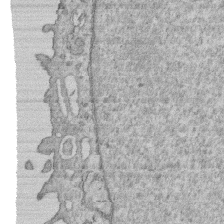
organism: Human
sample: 1205lu cells